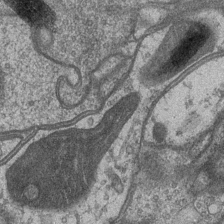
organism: Drosophila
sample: Optic medulla